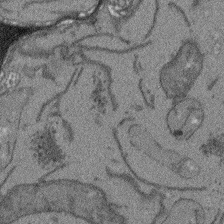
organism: Arabidopsis thaliana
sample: Root tip